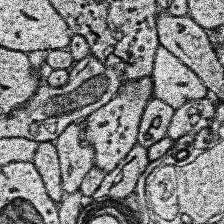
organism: Human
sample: Temporal Lobe